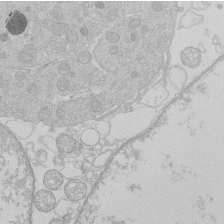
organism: Human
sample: Macrophage cells